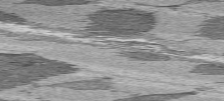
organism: C57BL Mouse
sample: Heart